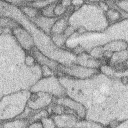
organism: Rabbit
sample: Retina